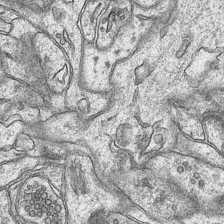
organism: Mouse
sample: CA1 Hippocampus